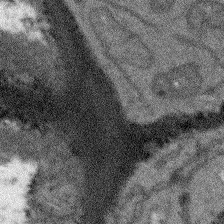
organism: Arabidopsis thaliana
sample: Root tip